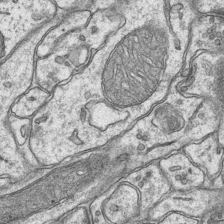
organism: Mouse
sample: CA1 Hippocampus